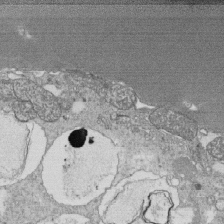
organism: Tetrahymena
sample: Cilia in tetrahymena